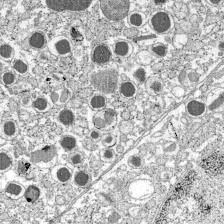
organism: C57BL Mouse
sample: Pancreatic islet